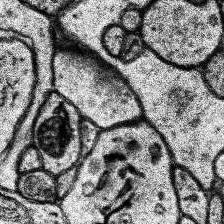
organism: Human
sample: Temporal Lobe